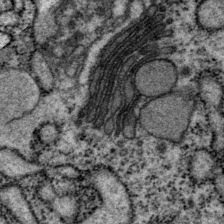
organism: P. pacificus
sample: Pharynx